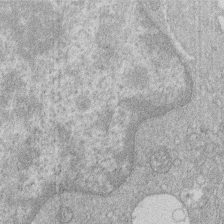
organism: Human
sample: Macrophage cells